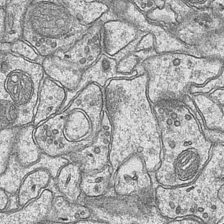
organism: Mouse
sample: CA1 Hippocampus